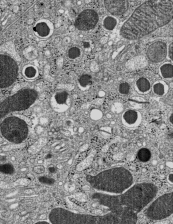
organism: C57BL Mouse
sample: Pancreatic islet